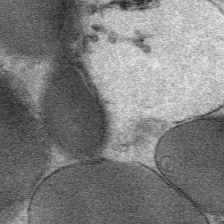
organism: Mouse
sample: Mouse Salivary gland